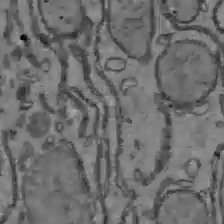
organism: C57BL Mouse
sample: Liver